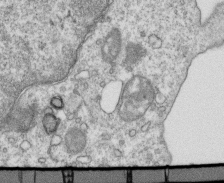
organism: Mouse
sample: Activated OT-1 CD8+ T cells